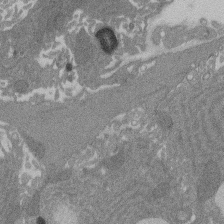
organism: Rat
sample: Salivary granule